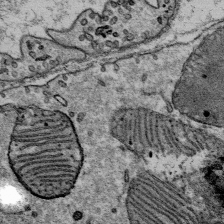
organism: Mouse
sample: Mouse Salivary gland